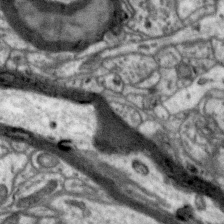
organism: Zebra finch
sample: Brain